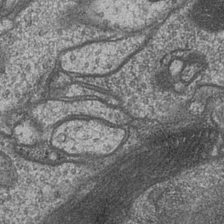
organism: Drosophila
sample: Optic medulla